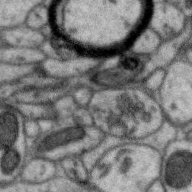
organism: Zebra finch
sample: Brain